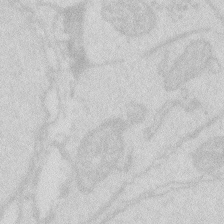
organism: Zebrafish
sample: Macrophage